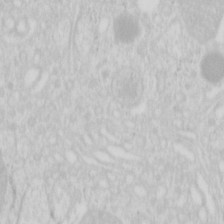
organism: Mouse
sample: Pancreas